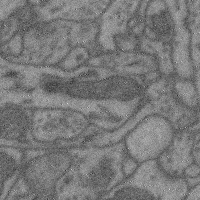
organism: Mouse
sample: Cerebral cortex